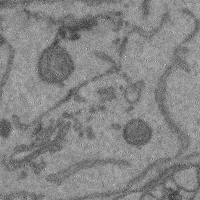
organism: Mouse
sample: Cerebral cortex